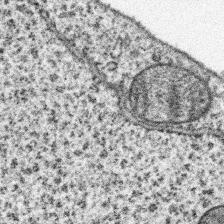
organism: Human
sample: HeLa cells